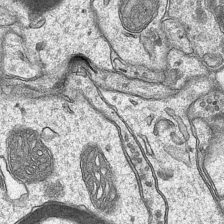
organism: Mouse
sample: CA1 Hippocampus